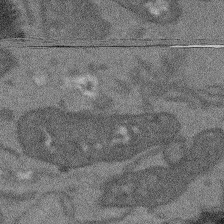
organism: Arabidopsis thaliana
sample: Root tip